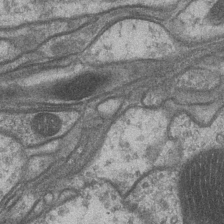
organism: Drosophila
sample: Optic medulla